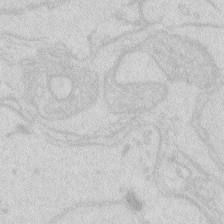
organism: Zebrafish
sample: Macrophage